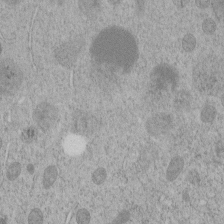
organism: C. elegans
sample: C. elegans embryo early stage